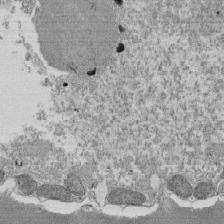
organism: Tetrahymena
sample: Cilia in tetrahymena